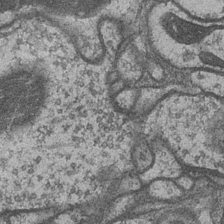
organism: Drosophila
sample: Optic medulla